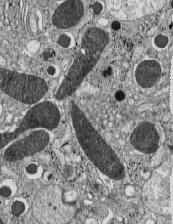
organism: C57BL Mouse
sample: Pancreatic islet